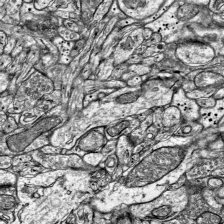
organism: Mouse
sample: Visual Cortex